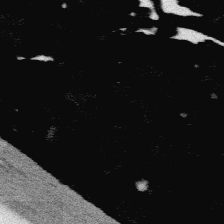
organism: Platynereis dumerilii